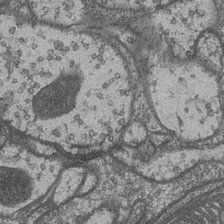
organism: Drosophila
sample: Optic medulla